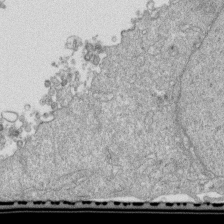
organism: Human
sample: HeLa cell HIV synapse